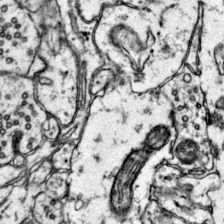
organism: Mouse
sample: Primary visual cortex